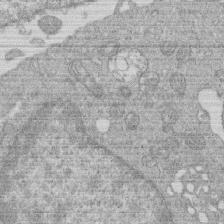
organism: Human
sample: Macrophage cells